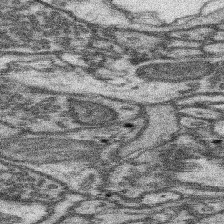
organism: Mouse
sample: Somatosensory cortex neuropil